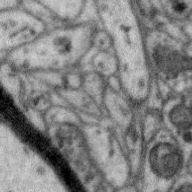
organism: Zebra finch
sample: Brain